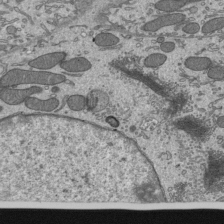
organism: Mouse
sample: Mouse epididymis efferent ductule cilia